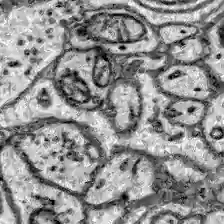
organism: Zebrafish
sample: Brain